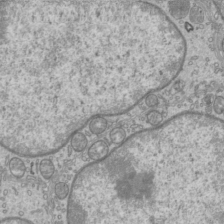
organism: Mouse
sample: Cilia; mouse epididymis